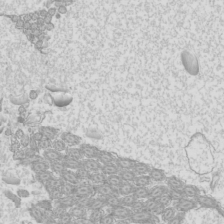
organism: Mouse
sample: Cilia; mouse epididymis